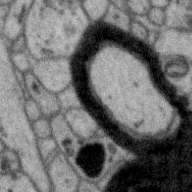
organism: Zebra finch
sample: Brain